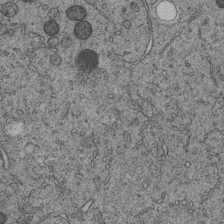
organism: C. elegans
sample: C. elegans embryo early stage